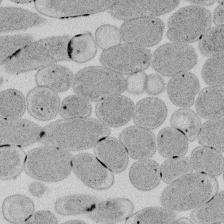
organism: E. coli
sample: Bacterial nucleoid